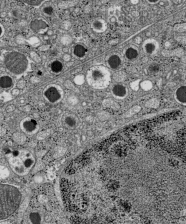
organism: C57BL Mouse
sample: Pancreatic islet